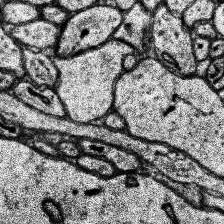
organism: Human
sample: Temporal Lobe